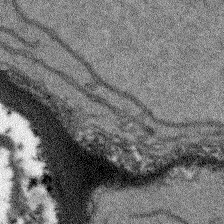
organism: Arabidopsis thaliana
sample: Root tip